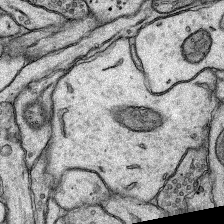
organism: Rat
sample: Hippocampus